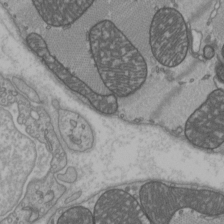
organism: C57BL Mouse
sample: Heart